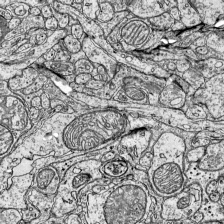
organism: Mouse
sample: Visual Cortex